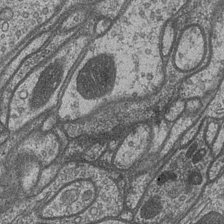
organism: Drosophila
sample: Optic medulla